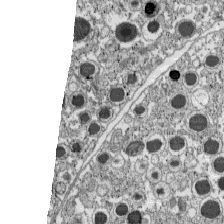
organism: C57BL Mouse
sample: Pancreatic islet